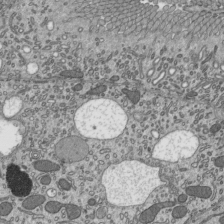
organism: Mouse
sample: Mouse epididymis efferent ductule cilia